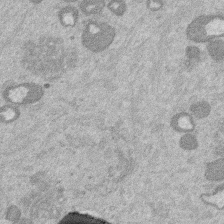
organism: Mouse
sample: Dividing mouse embryo 1 cell stage